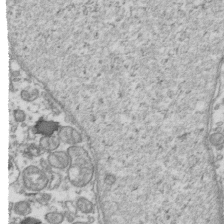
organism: Human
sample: Activated Jurkat CD4+ T cells